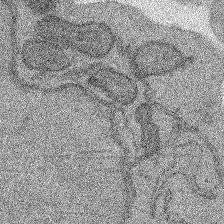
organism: Human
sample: HeLa cells